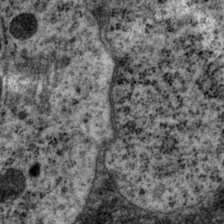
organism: P. pacificus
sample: Pharynx